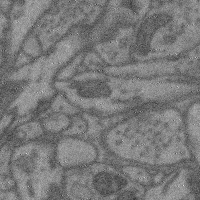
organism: Mouse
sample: Cerebral cortex